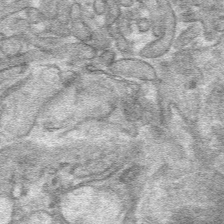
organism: Mouse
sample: Mouse hepatocytes